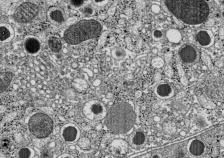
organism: C57BL Mouse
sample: Pancreatic islet